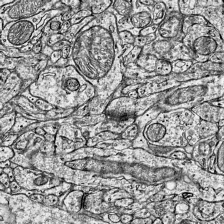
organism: Mouse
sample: Visual Cortex